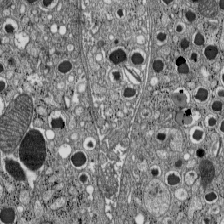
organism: C57BL Mouse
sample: Pancreatic islet